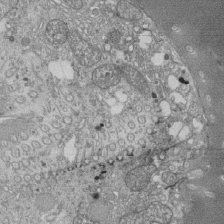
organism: Tetrahymena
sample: Cilia in tetrahymena